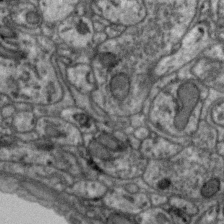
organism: Zebra finch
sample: Brain